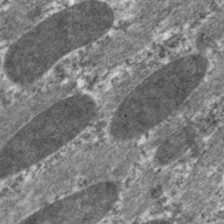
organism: C. elegans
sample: Pharynx